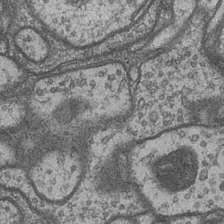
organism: Drosophila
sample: Optic medulla